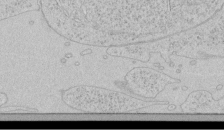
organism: Human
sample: Mitochondria in HCT116 cells